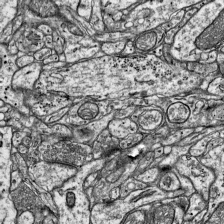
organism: Mouse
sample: Visual Cortex